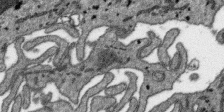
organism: Human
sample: Lung epithelial cells, uninfected (mock) control